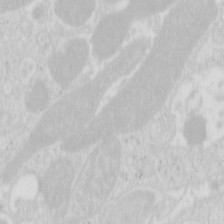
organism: Mouse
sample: Pancreas